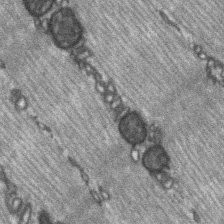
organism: C57BL Mouse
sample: Soleus